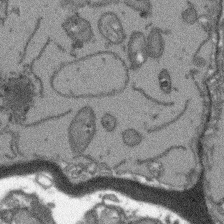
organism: Arabidopsis thaliana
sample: Root tip